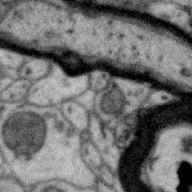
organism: Zebra finch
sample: Brain